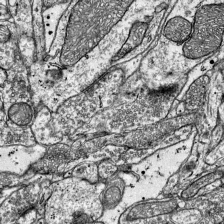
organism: Mouse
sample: Visual Cortex